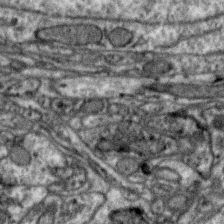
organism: Zebra finch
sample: Brain